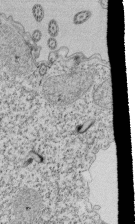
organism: Tetrahymena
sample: Cilia in tetrahymena